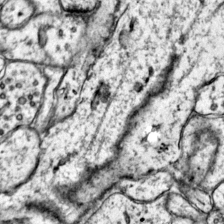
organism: Mouse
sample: Primary visual cortex